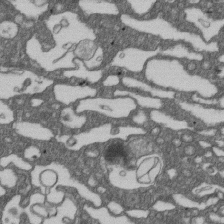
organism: Drosophila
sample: Nephrocyte